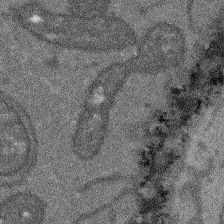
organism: Arabidopsis thaliana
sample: Root tip